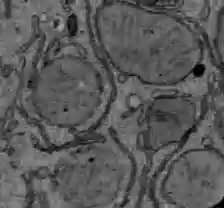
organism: C57BL Mouse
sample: Liver